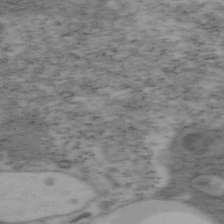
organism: Mouse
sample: OT-I killer T cells with ID8 ovarian cancer cells